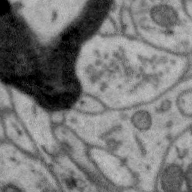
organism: Zebra finch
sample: Brain